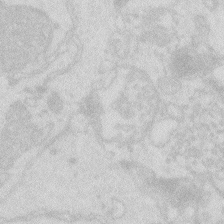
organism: Zebrafish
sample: Macrophage